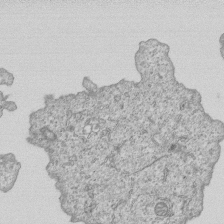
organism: Human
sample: MDA-MB-231 cells